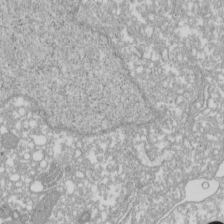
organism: Xenopus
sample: Cilia; centrioles in frog embryo cells